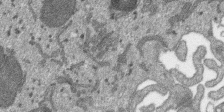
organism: Human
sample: Lung epithelial cells infected with SARS-CoV-2